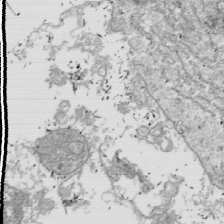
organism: Drosophila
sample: Cell division; meiosis; drosophila spermatocytes